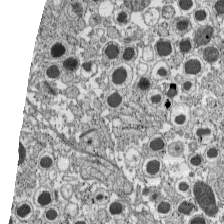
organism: C57BL Mouse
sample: Pancreatic islet